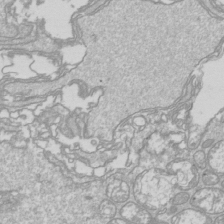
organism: Drosophila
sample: Cell division; meiosis; drosophila spermatocytes